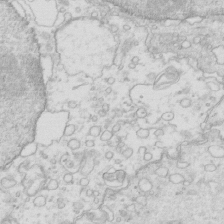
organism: Mouse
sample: Multiciliated cells